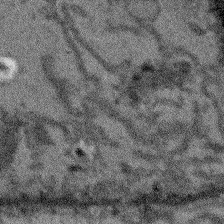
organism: Arabidopsis thaliana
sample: Root tip